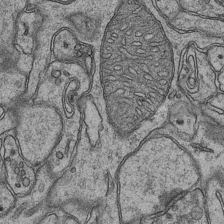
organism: Mouse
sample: CA1 Hippocampus